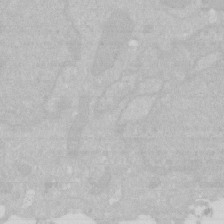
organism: Human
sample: HIV infected U937 cells